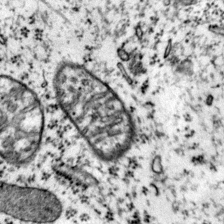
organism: Mouse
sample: Primary visual cortex